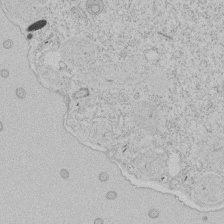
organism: Tetrahymena